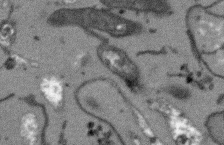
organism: Arabidopsis thaliana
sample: Root tip